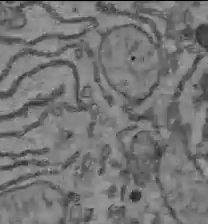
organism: C57BL Mouse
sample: Liver